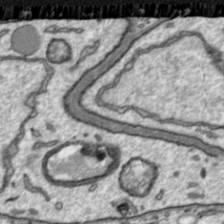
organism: Toxoplasma gondii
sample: Parasites in a vacuole inside a host cell